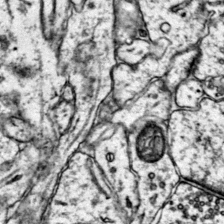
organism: Mouse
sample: Primary visual cortex